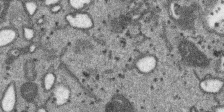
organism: Human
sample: Lung epithelial cells infected with SARS-CoV-2